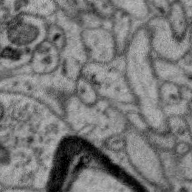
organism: Zebra finch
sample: Brain